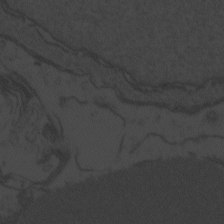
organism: Zebrafish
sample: Macrophage infected with Toxoplasma gondii